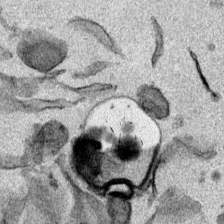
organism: Mouse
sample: Cancer cell death in ED-1 cells